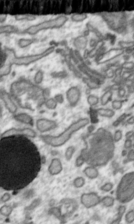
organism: Toxoplasma gondii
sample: Parasites in a vacuole inside a host cell